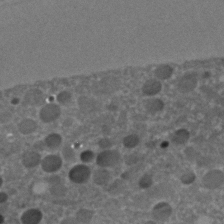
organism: C. elegans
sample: C. elegans embryo